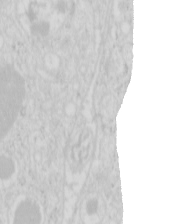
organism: Mouse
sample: Pancreas